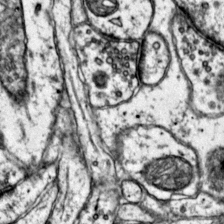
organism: Mouse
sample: Primary visual cortex